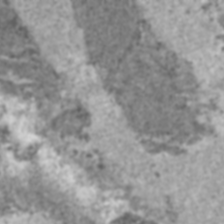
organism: C57BL Mouse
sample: Heart